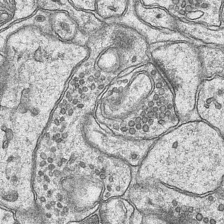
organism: Mouse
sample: CA1 Hippocampus